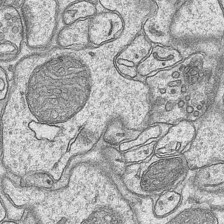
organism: Mouse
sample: CA1 Hippocampus